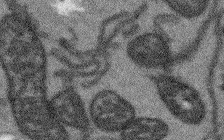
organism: Arabidopsis thaliana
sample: Root tip